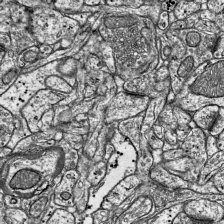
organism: Mouse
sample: Visual Cortex